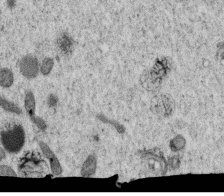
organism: C. elegans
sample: C. elegans oocyte; sperm cells